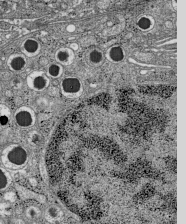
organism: C57BL Mouse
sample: Pancreatic islet